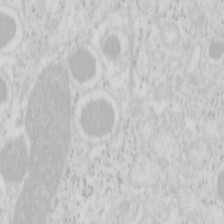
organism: Mouse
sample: Pancreas